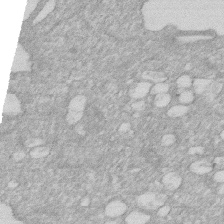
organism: Human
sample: HIV infected U937 cells